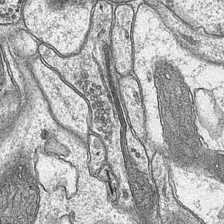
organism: Mouse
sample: CA1 Hippocampus